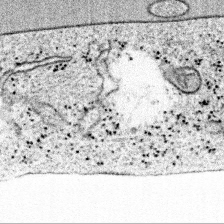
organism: Human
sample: HeLa cells